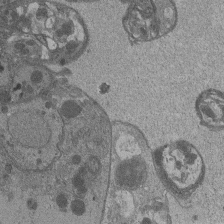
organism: Drosophila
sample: Antenna